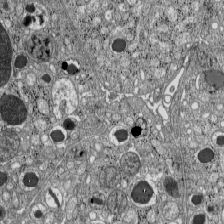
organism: C57BL Mouse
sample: Pancreatic islet